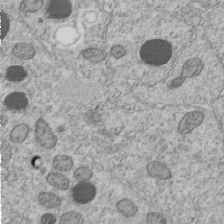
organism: C. elegans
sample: C. elegans embryo early stage